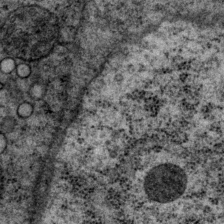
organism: P. pacificus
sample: Pharynx